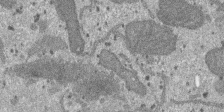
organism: Human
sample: Lung epithelial cells infected with SARS-CoV-2